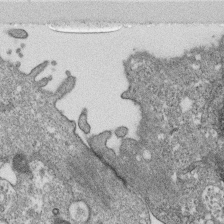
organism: African green monkey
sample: Vero E6 cells infected with SARS-CoV-2